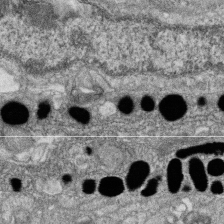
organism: Zebrafish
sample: Cilia; retinal pigment epithelium